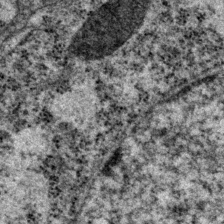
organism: P. pacificus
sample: Pharynx